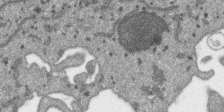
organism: Human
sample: Lung epithelial cells infected with SARS-CoV-2